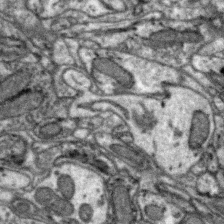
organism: Zebra finch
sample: Brain